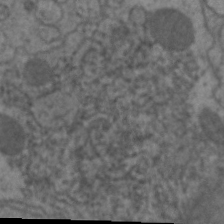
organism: C. elegans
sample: Pharynx